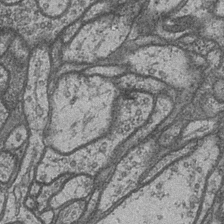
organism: Drosophila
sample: Optic medulla